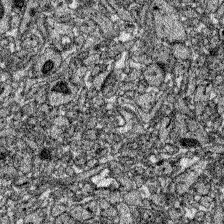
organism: Zebrafish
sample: Larval olfactory bulb